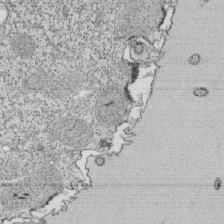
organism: Tetrahymena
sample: Cilia in tetrahymena